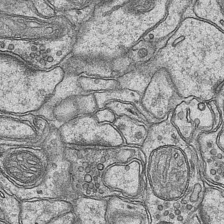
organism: Mouse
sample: CA1 Hippocampus